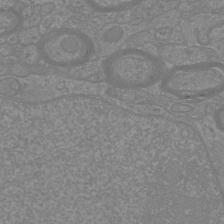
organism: Mouse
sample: Cortical neurons